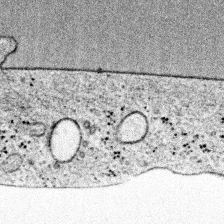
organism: Human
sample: HeLa cells